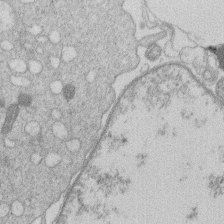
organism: Human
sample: Macrophage cells